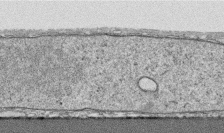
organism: Human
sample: CRL-1474